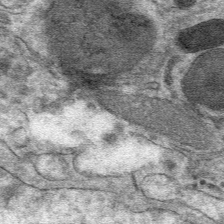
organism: Mouse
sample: Mouse hepatocytes